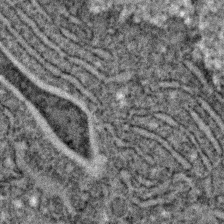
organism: C. elegans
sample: C. elegans embryo